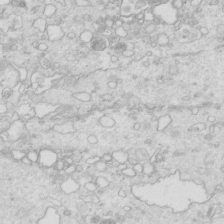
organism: Mouse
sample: Multiciliated cells